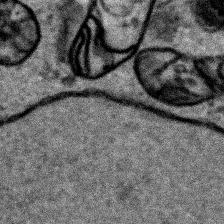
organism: Human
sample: Mitochondria in HCT116 cells